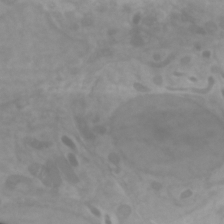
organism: Zebrafish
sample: Zebrafish embryo